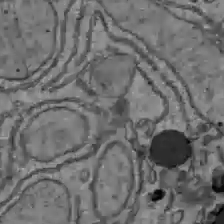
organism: C57BL Mouse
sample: Liver